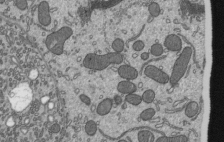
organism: Mouse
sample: Mouse epididymis efferent ductule cilia